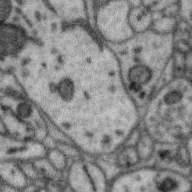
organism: Zebra finch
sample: Brain